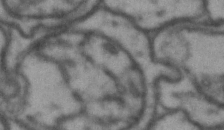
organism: Drosophila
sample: Brain